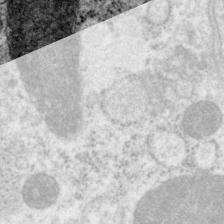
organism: P. pacificus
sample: Pharynx